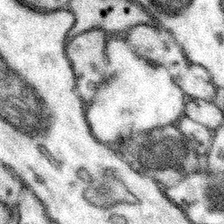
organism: Mouse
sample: Somatosensory cortex neuropil